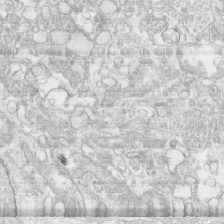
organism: Human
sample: CRL-1474